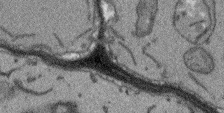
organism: Arabidopsis thaliana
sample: Root tip